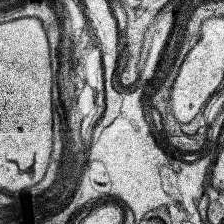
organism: Human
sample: Temporal Lobe